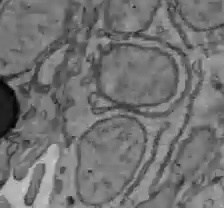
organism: C57BL Mouse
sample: Liver